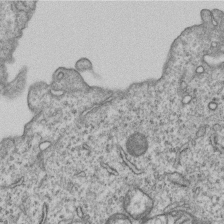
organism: Human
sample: MDA-MB-231 cells